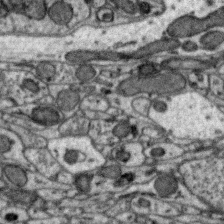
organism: Zebra finch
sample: Brain